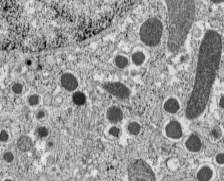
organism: C57BL Mouse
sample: Pancreatic islet